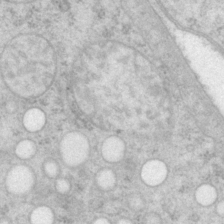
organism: P. pacificus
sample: Pharynx